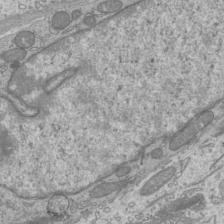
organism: Mouse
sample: Cilia; mouse epididymis